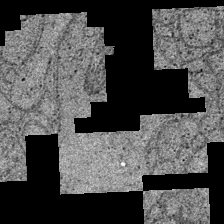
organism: Drosophila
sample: Optic medulla